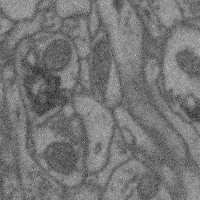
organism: Mouse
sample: Cerebral cortex